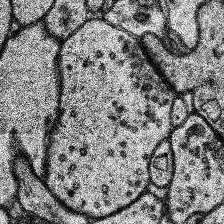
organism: Human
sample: Temporal Lobe